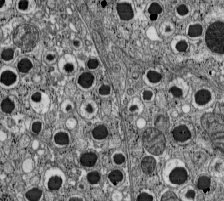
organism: C57BL Mouse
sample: Pancreatic islet